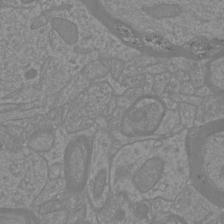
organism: Mouse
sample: Cortical neurons